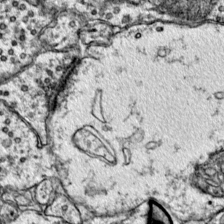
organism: Mouse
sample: Primary visual cortex